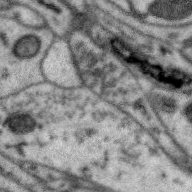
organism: Zebra finch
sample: Brain